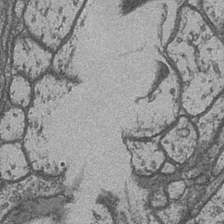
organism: Drosophila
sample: Optic medulla